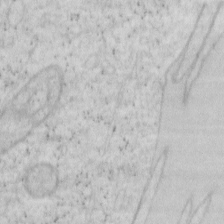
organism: Human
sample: HeLa cells